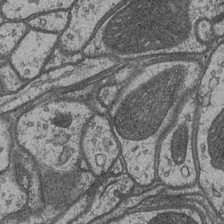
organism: Drosophila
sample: Optic medulla